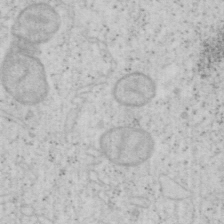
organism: Human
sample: HeLa cells